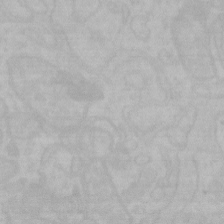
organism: Mouse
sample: Choroid plexus